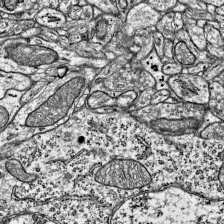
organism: Mouse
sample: Visual Cortex